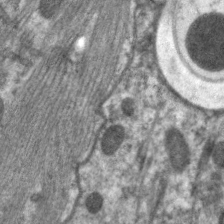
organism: C. elegans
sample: Pharynx